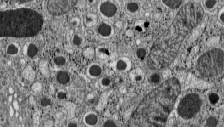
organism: C57BL Mouse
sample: Pancreatic islet